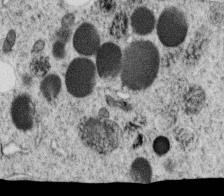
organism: C. elegans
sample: C. elegans oocyte; sperm cells